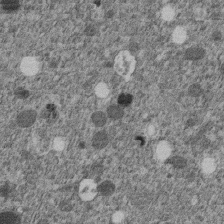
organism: C. elegans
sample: C. elegans embryo early stage